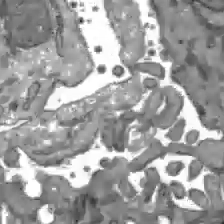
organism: C57BL Mouse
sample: Liver